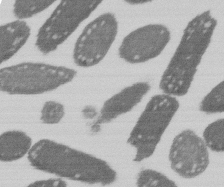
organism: E. coli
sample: Bacterial nucleoid